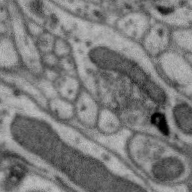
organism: Zebra finch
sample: Brain